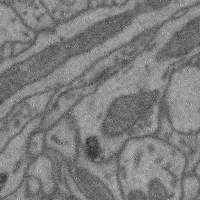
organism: Mouse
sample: Cerebral cortex